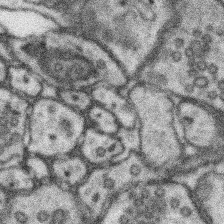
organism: Mouse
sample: Somatosensory cortex neuropil